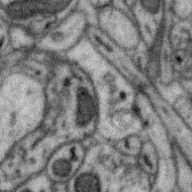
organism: Zebra finch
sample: Brain